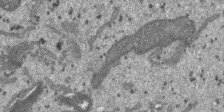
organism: Human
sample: Lung epithelial cells infected with SARS-CoV-2